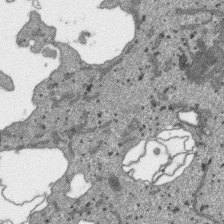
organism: Human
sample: Lung epithelial cells infected with SARS-CoV-2